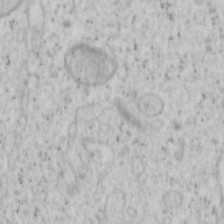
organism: Human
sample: HeLa cells